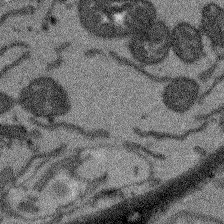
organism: Arabidopsis thaliana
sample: Root tip